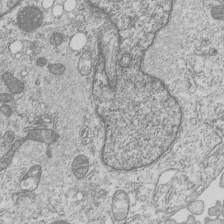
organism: Human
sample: MDA-MB-231 cells